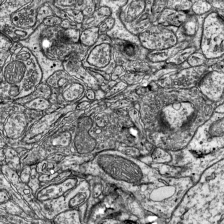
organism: Mouse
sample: Visual Cortex